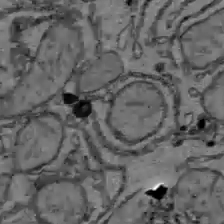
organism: C57BL Mouse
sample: Liver